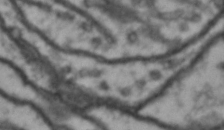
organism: Drosophila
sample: Brain